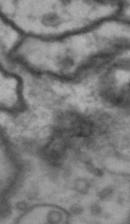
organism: Drosophila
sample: Brain